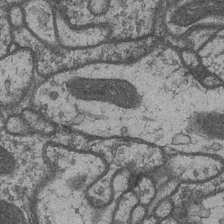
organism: Drosophila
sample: Optic medulla